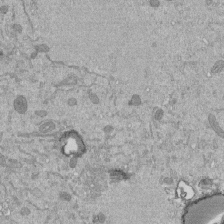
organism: Mouse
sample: ED-1 cell nuclei; centrioles